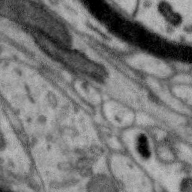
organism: Zebra finch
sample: Brain